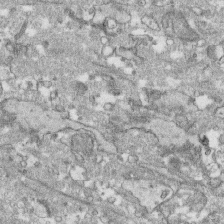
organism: Human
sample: CRL-1474